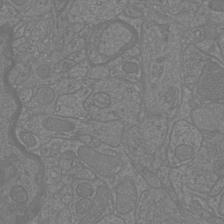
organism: Mouse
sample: Cortical neurons